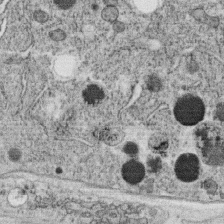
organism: C. elegans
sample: C. elegans oocyte; sperm cells